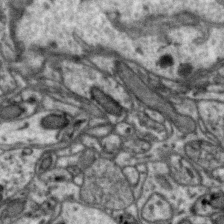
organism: Zebra finch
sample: Brain